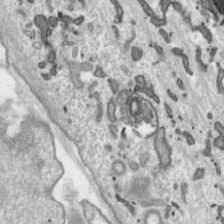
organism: Toxoplasma gondii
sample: Parasites in a vacuole inside a host cell